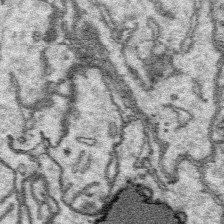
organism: Platynereis dumerilii